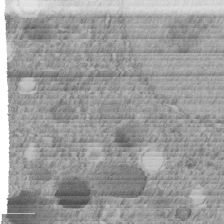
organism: C. elegans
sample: C. elegans embryo early stage